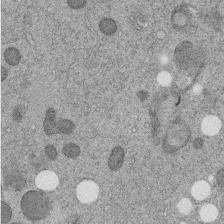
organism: C. elegans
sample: C. elegans embryo early stage